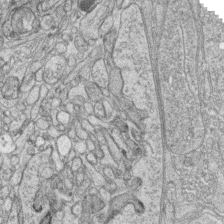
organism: Zebrafish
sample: synaptic ribbons in rod cells and cone cells